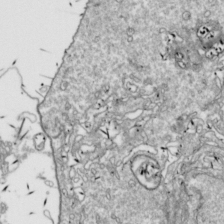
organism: Drosophila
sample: Cell division; meiosis; drosophila spermatocytes